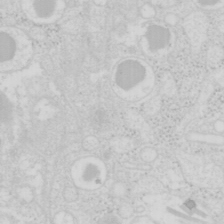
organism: Mouse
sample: Pancreas